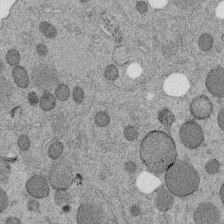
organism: C. elegans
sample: C. elegans embryo early stage